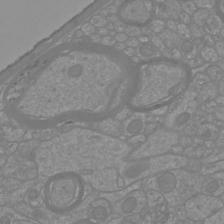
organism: Mouse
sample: Cortical neurons